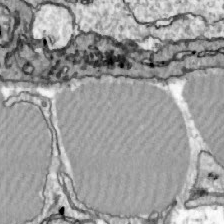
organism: Zebrafish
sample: Actinotrichia fibers